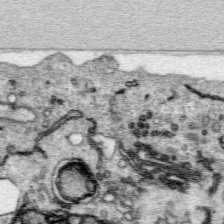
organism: Human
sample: HeLa cells